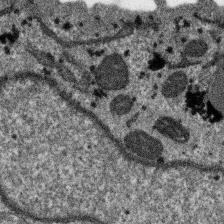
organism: Human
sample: Lung epithelial cells infected with SARS-CoV-2